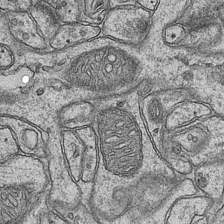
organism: Mouse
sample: CA1 Hippocampus